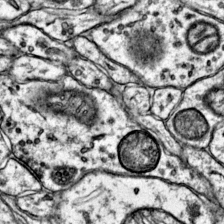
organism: Mouse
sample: Primary visual cortex